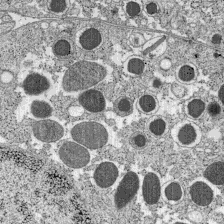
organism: C57BL Mouse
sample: Pancreatic islet